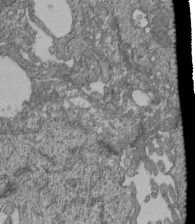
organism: Human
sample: Retinal organoid Rod and Cone cells